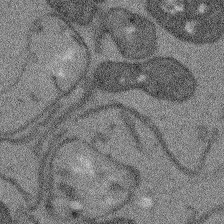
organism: Arabidopsis thaliana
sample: Root tip